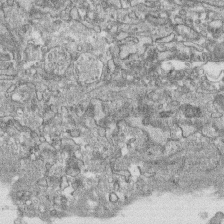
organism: Human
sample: CRL-1474